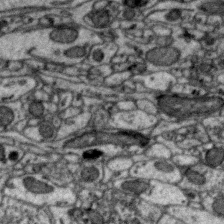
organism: Zebra finch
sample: Brain